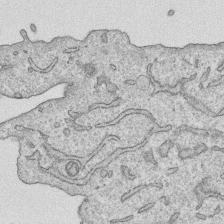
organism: Human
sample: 1205lu cells